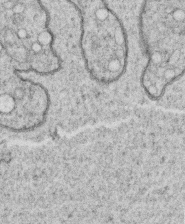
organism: C. elegans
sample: C. elegans oocyte; sperm cells